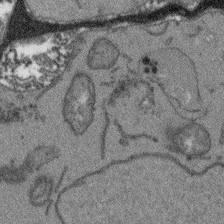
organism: Arabidopsis thaliana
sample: Root tip